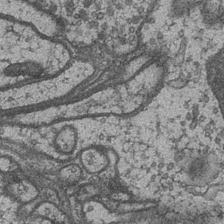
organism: Drosophila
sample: Optic medulla